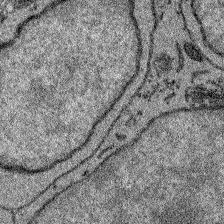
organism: Zebrafish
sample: Larval olfactory bulb